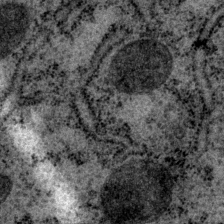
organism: P. pacificus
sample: Pharynx